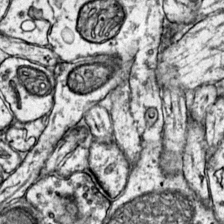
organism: Mouse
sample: Primary visual cortex